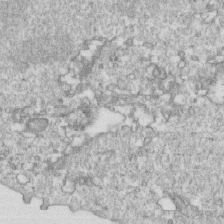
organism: Mouse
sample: Activated OT-1 CD8+ T cells